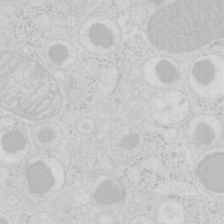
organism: Mouse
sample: Pancreas